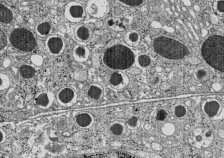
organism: C57BL Mouse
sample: Pancreatic islet